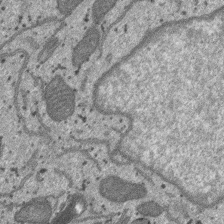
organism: Human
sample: Lung epithelial cells infected with SARS-CoV-2